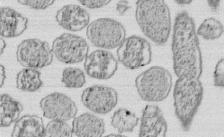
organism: E. coli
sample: Bacterial nucleoid